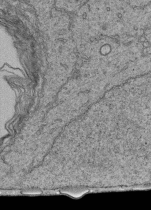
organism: Human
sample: Retinal organoid Rod and Cone cells